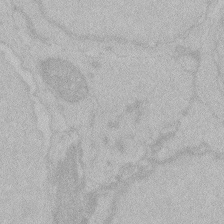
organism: Zebrafish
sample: Macrophage infected with Toxoplasma gondii